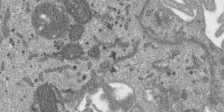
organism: Human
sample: Lung epithelial cells infected with SARS-CoV-2